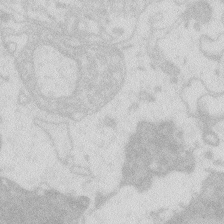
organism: Zebrafish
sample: Macrophage